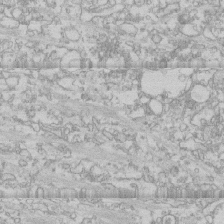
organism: Human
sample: CRL-1474